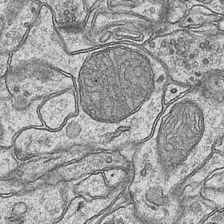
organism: Mouse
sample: CA1 Hippocampus